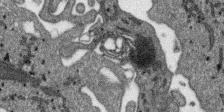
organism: Human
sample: Lung epithelial cells infected with SARS-CoV-2